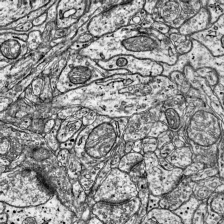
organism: Mouse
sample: Visual Cortex